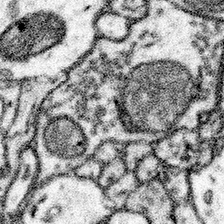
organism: Mouse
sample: Somatosensory cortex neuropil